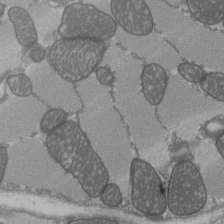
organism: C57BL Mouse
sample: Heart